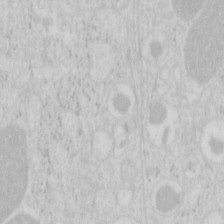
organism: Mouse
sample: Pancreas